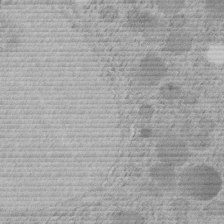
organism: C. elegans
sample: C. elegans embryo early stage